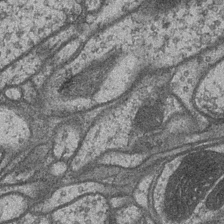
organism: Drosophila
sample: Optic medulla